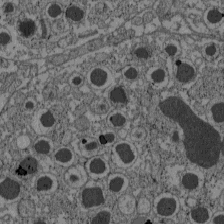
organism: C57BL Mouse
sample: Pancreatic islet